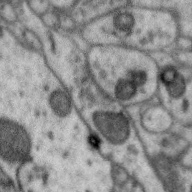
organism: Zebra finch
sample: Brain